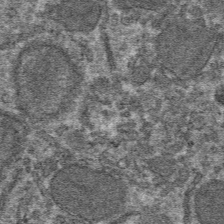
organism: Mouse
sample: Mouse hepatocytes